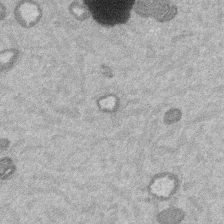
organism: Mouse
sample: Dividing mouse embryo 1 cell stage